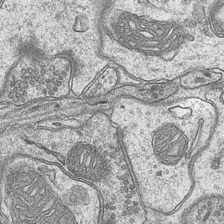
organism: Mouse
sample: CA1 Hippocampus